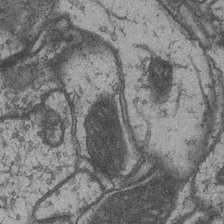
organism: Drosophila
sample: Optic medulla